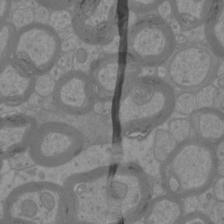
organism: Mouse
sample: Cortical neurons